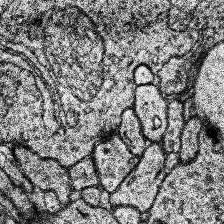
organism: Human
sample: Temporal Lobe